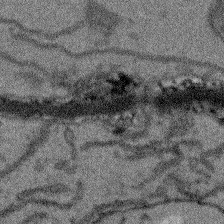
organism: Arabidopsis thaliana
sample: Root tip